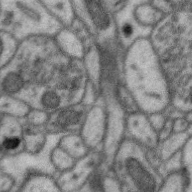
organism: Zebra finch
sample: Brain